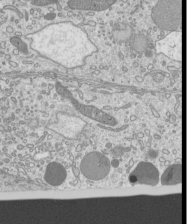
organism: Mouse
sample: Cilia; mouse epididymis